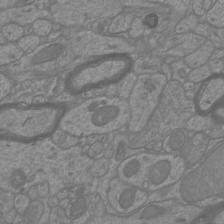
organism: Mouse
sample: Cortical neurons